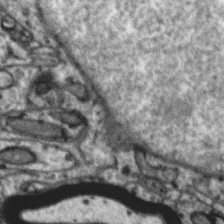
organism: Zebra finch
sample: Brain